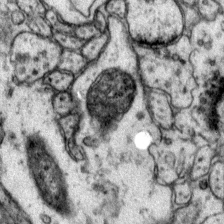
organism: Mouse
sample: Primary visual cortex